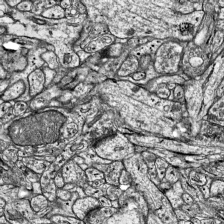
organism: Mouse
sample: Visual Cortex